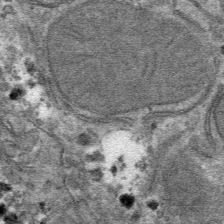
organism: Mouse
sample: Mouse hepatocytes